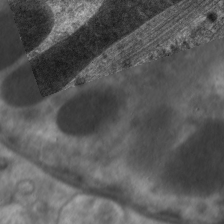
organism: C. elegans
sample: Pharynx